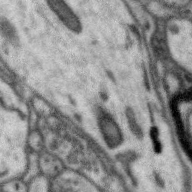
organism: Zebra finch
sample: Brain